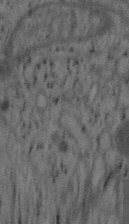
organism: Human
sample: HeLa cells